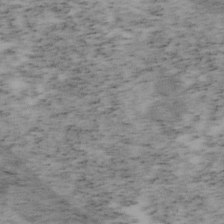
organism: Mouse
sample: OT-I killer T cells with ID8 ovarian cancer cells